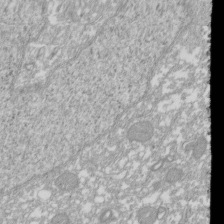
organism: Xenopus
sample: Cilia; centrioles in frog embryo cells